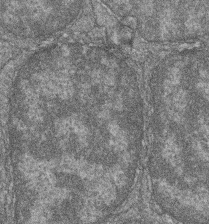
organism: Zebrafish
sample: Cilia; retinal pigment epithelium